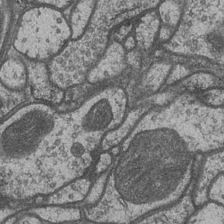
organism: Drosophila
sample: Optic medulla